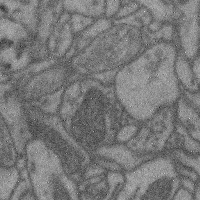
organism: Mouse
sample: Cerebral cortex